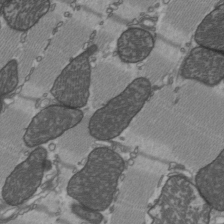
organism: C57BL Mouse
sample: Heart